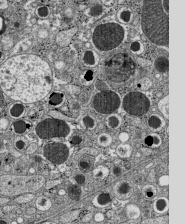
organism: C57BL Mouse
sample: Pancreatic islet